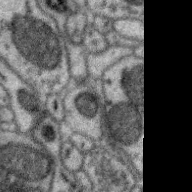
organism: Zebra finch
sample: Brain